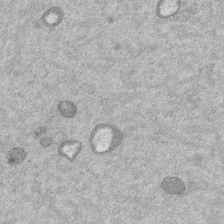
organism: Mouse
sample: Dividing mouse embryo 1 cell stage